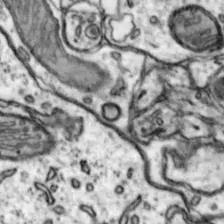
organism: Mouse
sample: Nucleus accumbens